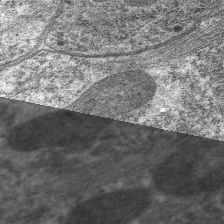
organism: C. elegans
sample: Pharynx